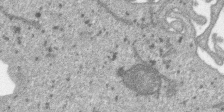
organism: Human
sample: Lung epithelial cells infected with SARS-CoV-2